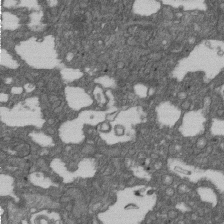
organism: Drosophila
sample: Nephrocyte